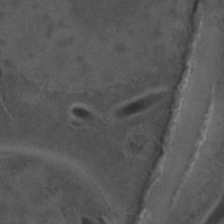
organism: C. elegans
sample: C. elegans embryo